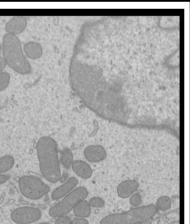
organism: Mouse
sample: Cilia; mouse epididymis